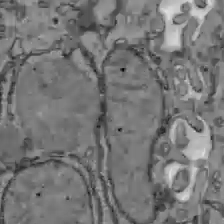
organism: C57BL Mouse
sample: Liver